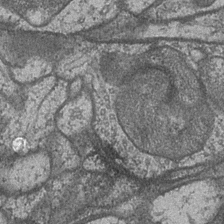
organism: Drosophila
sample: Optic medulla